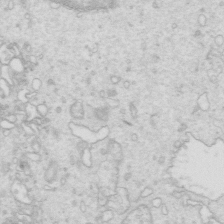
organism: Mouse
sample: Multiciliated cells